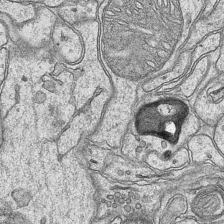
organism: Mouse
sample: CA1 Hippocampus